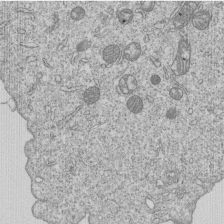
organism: Human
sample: MDA-MB-231 cells